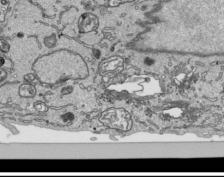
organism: Human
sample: Mitochondria in HCT116 cells